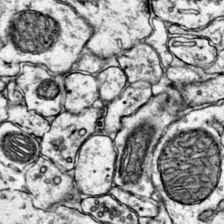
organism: Mouse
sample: Primary visual cortex